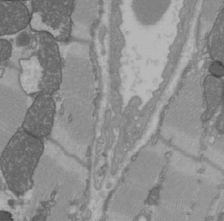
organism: C57BL Mouse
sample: Heart